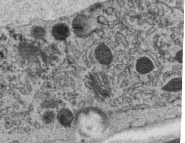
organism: C. elegans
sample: C. elegans oocyte; sperm cells